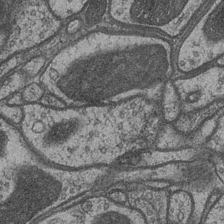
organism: Drosophila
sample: Optic medulla